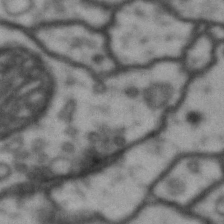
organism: Drosophila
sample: Brain